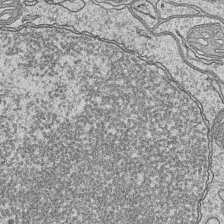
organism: Mouse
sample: CA1 Hippocampus